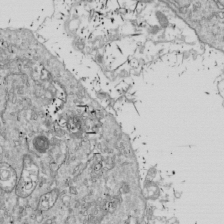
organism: Drosophila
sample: Cell division; meiosis; drosophila spermatocytes